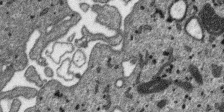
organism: Human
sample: Lung epithelial cells infected with SARS-CoV-2